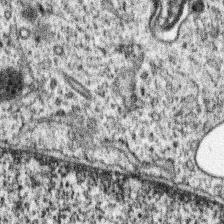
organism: Human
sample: HeLa cells